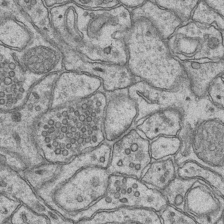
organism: Mouse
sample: CA1 Hippocampus